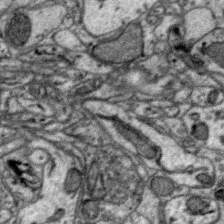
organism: Zebra finch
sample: Brain